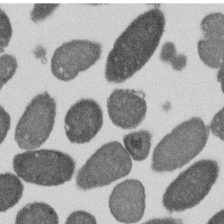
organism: E. coli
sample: Bacterial nucleoid